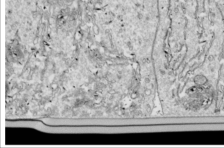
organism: Drosophila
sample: Cell division; meiosis; drosophila spermatocytes